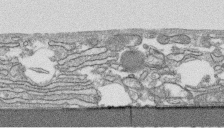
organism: Human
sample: CRL-1474